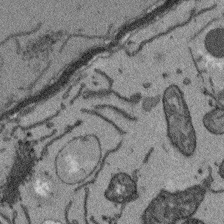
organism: Arabidopsis thaliana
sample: Root tip